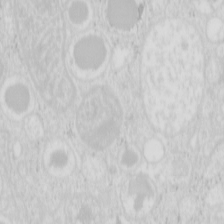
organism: Mouse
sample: Pancreas